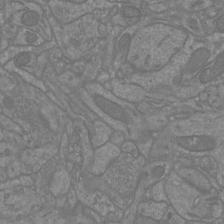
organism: Mouse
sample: Cortical neurons